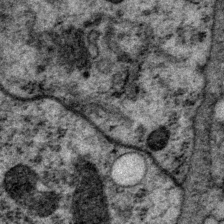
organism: P. pacificus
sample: Pharynx